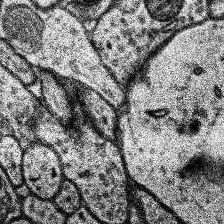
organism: Human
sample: Temporal Lobe